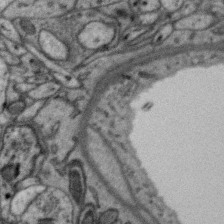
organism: Zebra finch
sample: Brain